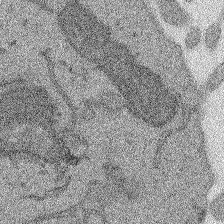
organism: Human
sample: HeLa cells